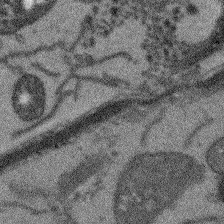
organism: Arabidopsis thaliana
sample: Root tip